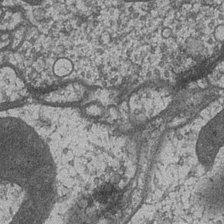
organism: Drosophila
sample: Optic medulla